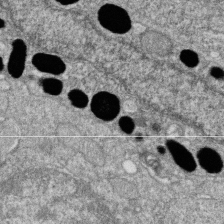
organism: Zebrafish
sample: Cilia; retinal pigment epithelium